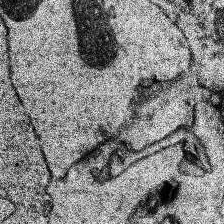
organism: Human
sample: Temporal Lobe